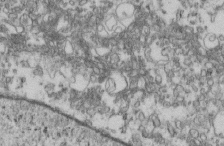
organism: Mouse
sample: Cilia; retinal pigment epithelium